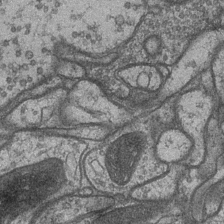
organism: Drosophila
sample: Optic medulla